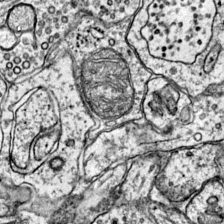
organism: Mouse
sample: Primary visual cortex